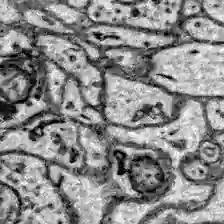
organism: Zebrafish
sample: Brain